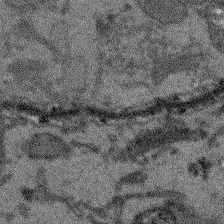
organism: Arabidopsis thaliana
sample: Root tip